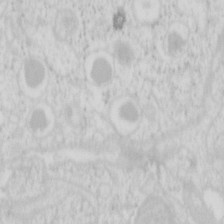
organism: Mouse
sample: Pancreas